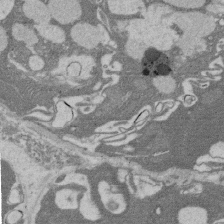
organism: Rat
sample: Salivary granule